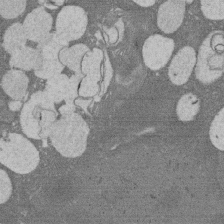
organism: Rat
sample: Salivary granule